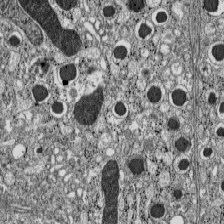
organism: C57BL Mouse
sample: Pancreatic islet